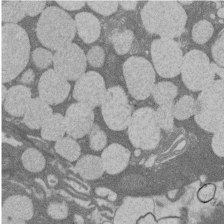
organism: Rat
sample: Salivary granule